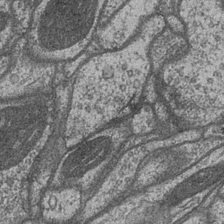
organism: Drosophila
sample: Optic medulla